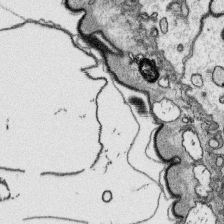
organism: Platynereis dumerilii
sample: Parapodia